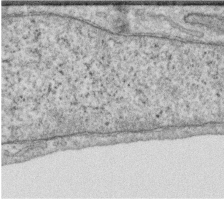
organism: Human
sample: Centriole in RPE cells